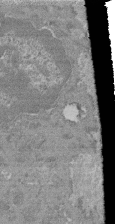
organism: Mouse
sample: Glomerulus